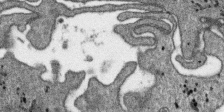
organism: Human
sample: Lung epithelial cells, uninfected (mock) control